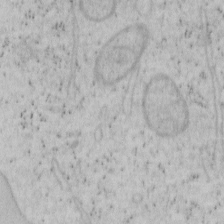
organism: Human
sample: HeLa cells